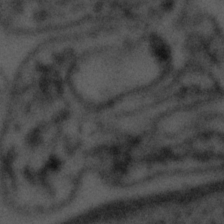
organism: Tuwongella immobilis